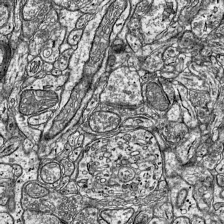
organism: Mouse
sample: Visual Cortex